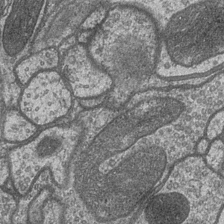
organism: Drosophila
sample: Optic medulla